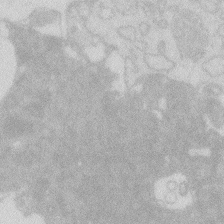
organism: Zebrafish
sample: Macrophage